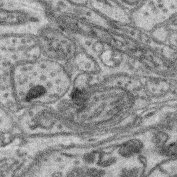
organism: Mouse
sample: Retina